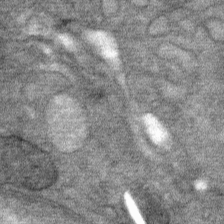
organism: Mouse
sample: Mouse Salivary gland